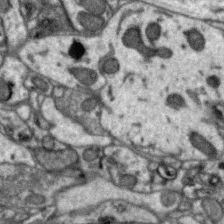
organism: Zebra finch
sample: Brain